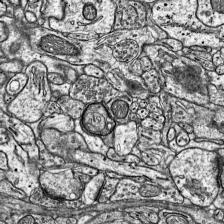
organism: Mouse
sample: Visual Cortex